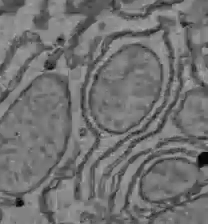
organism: C57BL Mouse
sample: Liver